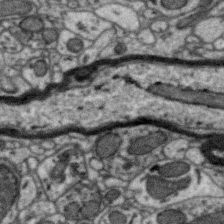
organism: Zebra finch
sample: Brain